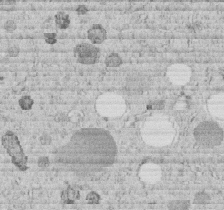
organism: C. elegans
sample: C. elegans embryo early stage